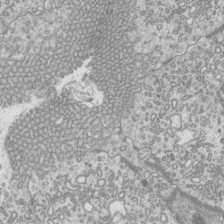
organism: Mouse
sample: Cilia; mouse epididymis